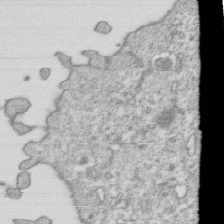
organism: Mouse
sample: Activated OT-1 CD8+ T cells